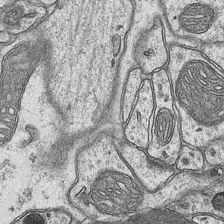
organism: Mouse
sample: CA1 Hippocampus